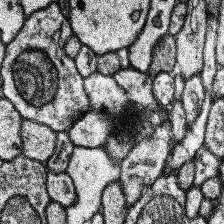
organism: Human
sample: Temporal Lobe